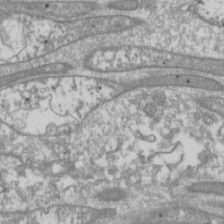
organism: Drosophila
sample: Cell division; meiosis; drosophila spermatocytes